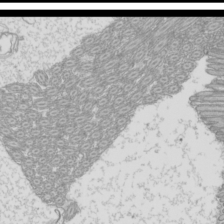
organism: Mouse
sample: Cilia; mouse epididymis